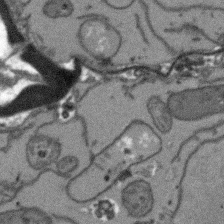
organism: Arabidopsis thaliana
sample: Root tip